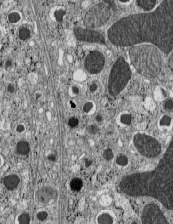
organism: C57BL Mouse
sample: Pancreatic islet